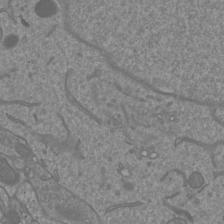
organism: Mouse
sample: Cortical neurons